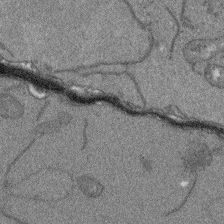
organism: Arabidopsis thaliana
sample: Root tip